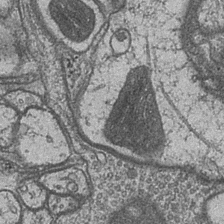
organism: Drosophila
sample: Optic medulla